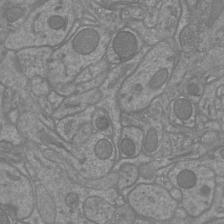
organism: Mouse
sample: Cortical neurons